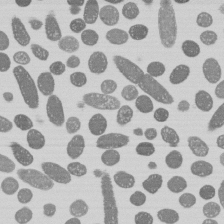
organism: E. coli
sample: Bacterial nucleoid